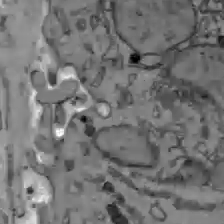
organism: C57BL Mouse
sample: Liver